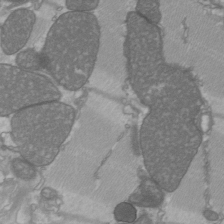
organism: C57BL Mouse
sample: Heart